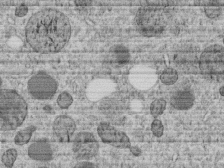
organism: C. elegans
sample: C. elegans embryo early stage